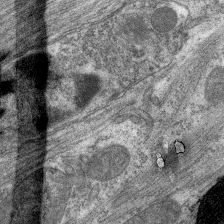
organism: C. elegans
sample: Pharynx